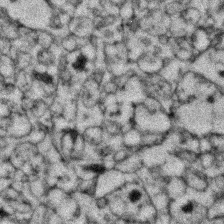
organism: Zebrafish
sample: Zebrafish embryo